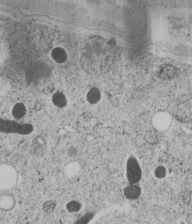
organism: C. elegans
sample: C. elegans embryo early stage